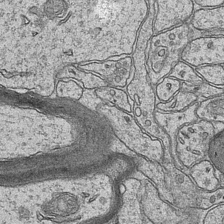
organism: Mouse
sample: CA1 Hippocampus